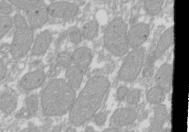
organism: Xenopus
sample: Cilia; centrioles in frog embryo cells